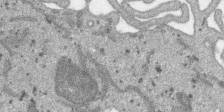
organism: Human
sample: Lung epithelial cells infected with SARS-CoV-2